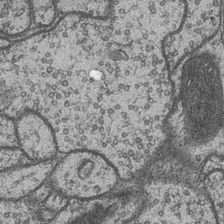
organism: Drosophila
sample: Optic medulla